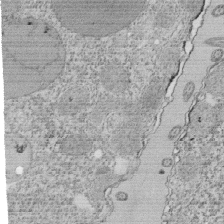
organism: Tetrahymena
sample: Cilia in tetrahymena